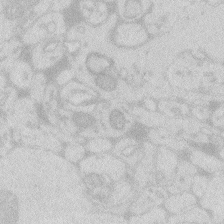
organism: Zebrafish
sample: Macrophage